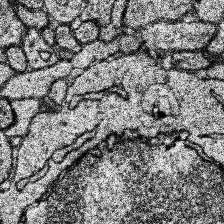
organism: Human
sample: Temporal Lobe